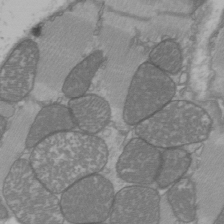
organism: C57BL Mouse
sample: Heart